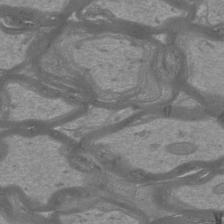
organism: Mouse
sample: Cortical neurons